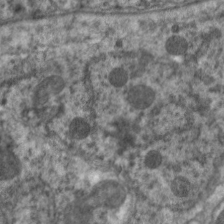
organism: C. elegans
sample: Pharynx